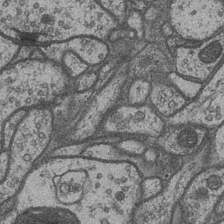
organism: Drosophila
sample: Optic medulla